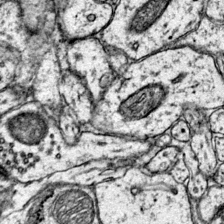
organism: Mouse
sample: Primary visual cortex